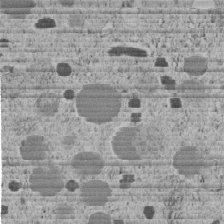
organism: C. elegans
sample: C. elegans embryo early stage